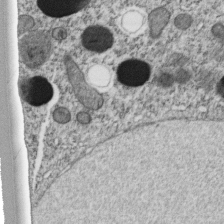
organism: C. elegans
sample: C. elegans embryo early stage